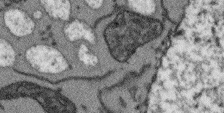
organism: Arabidopsis thaliana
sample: Root tip